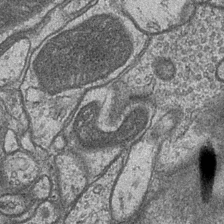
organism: Drosophila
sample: Optic medulla